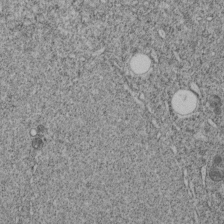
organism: C. elegans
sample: C. elegans embryo early stage